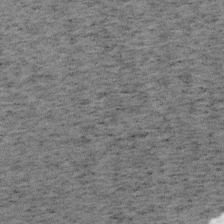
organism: Mouse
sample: OT-I killer T cells with ID8 ovarian cancer cells